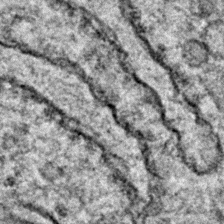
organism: Zebrafish